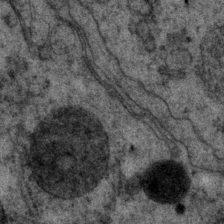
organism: P. pacificus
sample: Pharynx